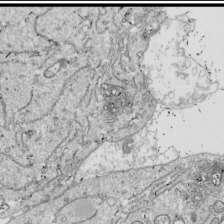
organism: Drosophila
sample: Cell division; meiosis; drosophila spermatocytes